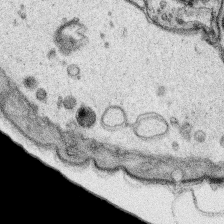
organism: Platynereis dumerilii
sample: Parapodia